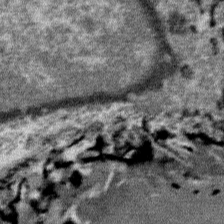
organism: Mouse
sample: Mouse Salivary gland